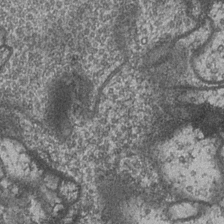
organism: Drosophila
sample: Optic medulla